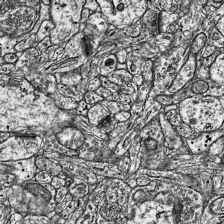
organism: Mouse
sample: Visual Cortex